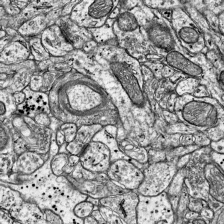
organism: Mouse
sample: Visual Cortex